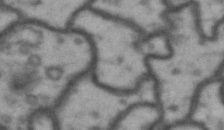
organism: Drosophila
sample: Brain